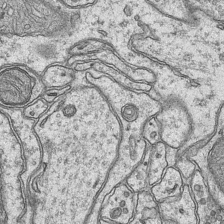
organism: Mouse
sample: CA1 Hippocampus